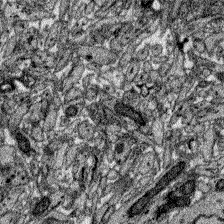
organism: Zebrafish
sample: Larval olfactory bulb